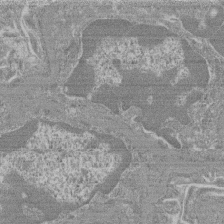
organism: Mouse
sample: Glomerulus